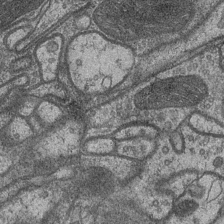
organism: Drosophila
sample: Optic medulla